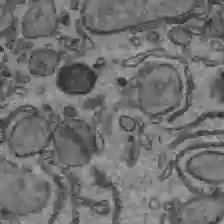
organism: C57BL Mouse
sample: Liver